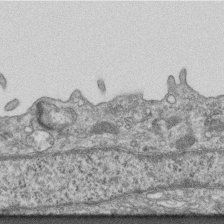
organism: Mouse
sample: Centriole in ependymal cells